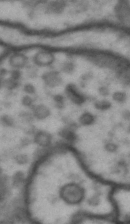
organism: Drosophila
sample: Brain